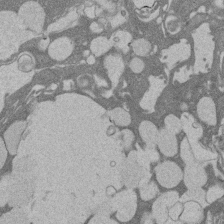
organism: Rat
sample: Salivary granule